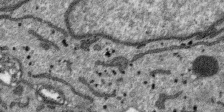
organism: Human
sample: Lung epithelial cells, uninfected (mock) control